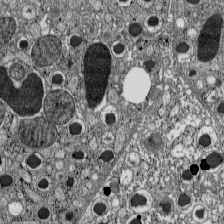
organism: C57BL Mouse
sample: Pancreatic islet